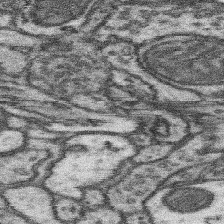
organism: Mouse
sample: Somatosensory cortex neuropil